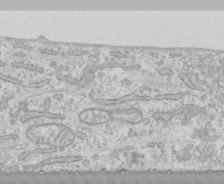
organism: Human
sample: CRL-1474